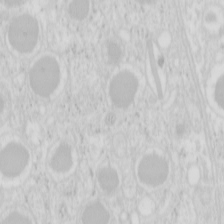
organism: Mouse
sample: Pancreas